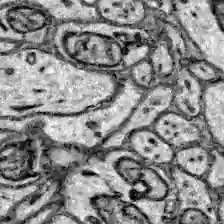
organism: Zebrafish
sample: Brain